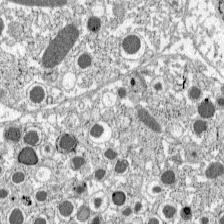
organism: C57BL Mouse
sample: Pancreatic islet